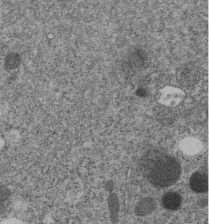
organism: C. elegans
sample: C. elegans embryo early stage